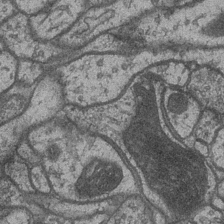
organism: Drosophila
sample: Optic medulla